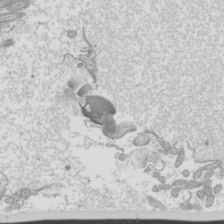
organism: Mouse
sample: Cilia; mouse epididymis